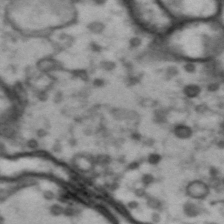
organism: Drosophila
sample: Brain